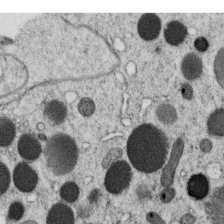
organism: C. elegans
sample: C. elegans oocyte; sperm cells